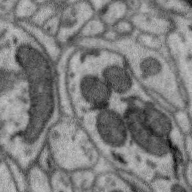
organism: Zebra finch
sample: Brain